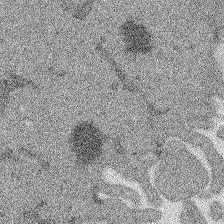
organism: Human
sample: HeLa cells